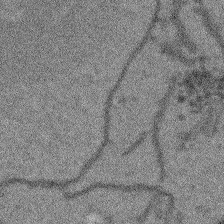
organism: Arabidopsis thaliana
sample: Root tip